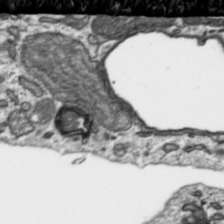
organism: Toxoplasma gondii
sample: Parasites in a vacuole inside a host cell